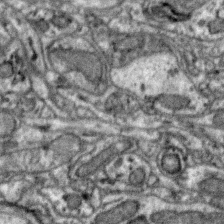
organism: Zebra finch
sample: Brain